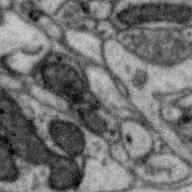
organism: Zebra finch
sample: Brain